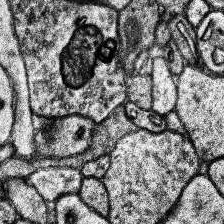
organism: Human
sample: Temporal Lobe